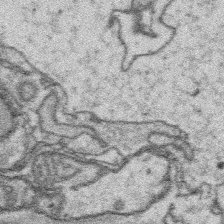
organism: Platynereis dumerilii